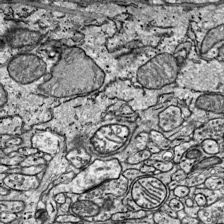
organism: Mouse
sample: Visual Cortex